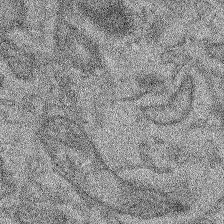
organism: Human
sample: HeLa cells